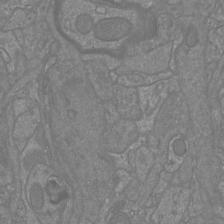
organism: Mouse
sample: Cortical neurons